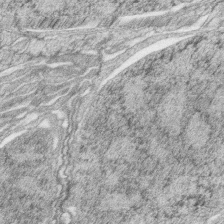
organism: Zebrafish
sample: synaptic ribbons in rod cells and cone cells